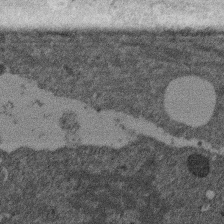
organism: Mouse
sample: Dividing mouse embryo 1 cell stage